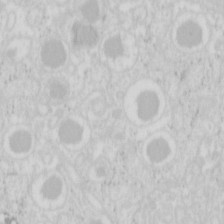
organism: Mouse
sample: Pancreas